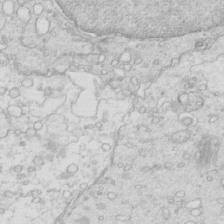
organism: Mouse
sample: Multiciliated cells